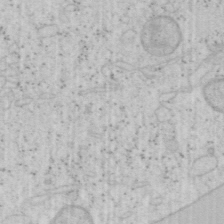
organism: Human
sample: HeLa cells